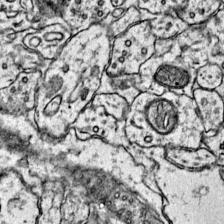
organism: Mouse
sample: Primary visual cortex